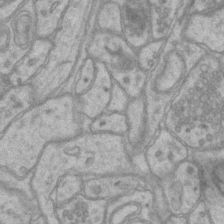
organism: Mouse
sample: CA1 Hippocampus